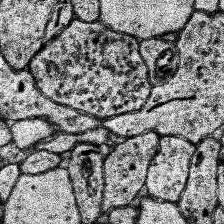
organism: Human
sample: Temporal Lobe